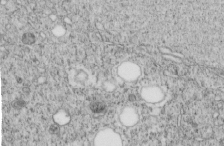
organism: C. elegans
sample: C. elegans embryo early stage